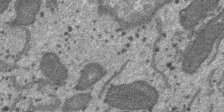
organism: Human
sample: Lung epithelial cells infected with SARS-CoV-2